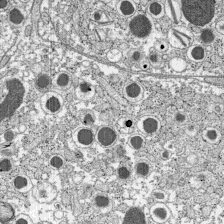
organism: C57BL Mouse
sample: Pancreatic islet